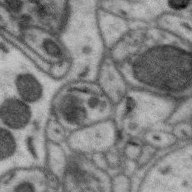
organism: Zebra finch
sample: Brain